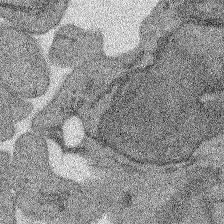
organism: Human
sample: HeLa cells